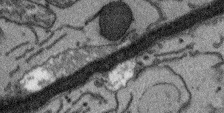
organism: Arabidopsis thaliana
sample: Root tip